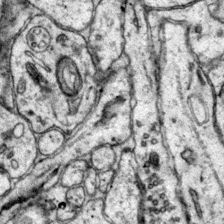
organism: Mouse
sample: Primary visual cortex